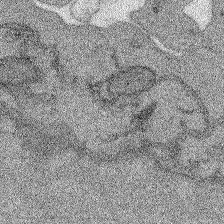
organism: Human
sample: HeLa cells